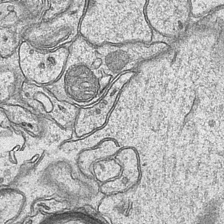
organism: Mouse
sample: CA1 Hippocampus